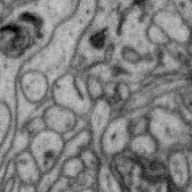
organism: Zebra finch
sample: Brain